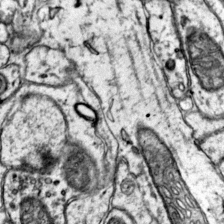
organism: Mouse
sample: Primary visual cortex